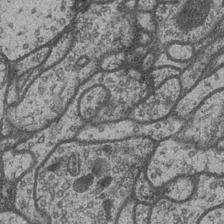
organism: Drosophila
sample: Optic medulla